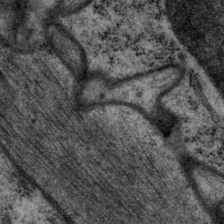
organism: P. pacificus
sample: Pharynx